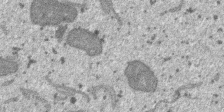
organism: Human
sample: Lung epithelial cells infected with SARS-CoV-2